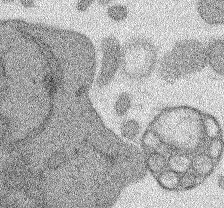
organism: Human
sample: HeLa cells